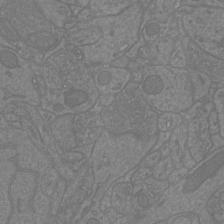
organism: Mouse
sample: Cortical neurons